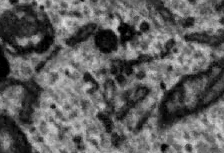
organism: Human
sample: HeLa cells